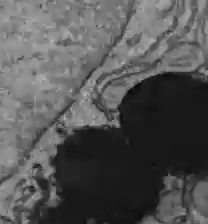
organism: C57BL Mouse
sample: Liver